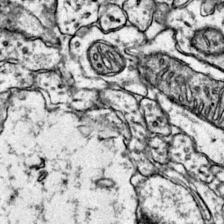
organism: Mouse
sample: Primary visual cortex